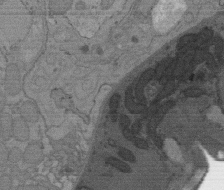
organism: C. elegans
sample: AFD neurons C. elegans